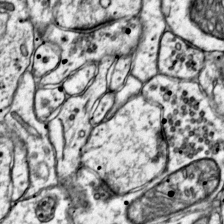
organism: Mouse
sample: Primary visual cortex